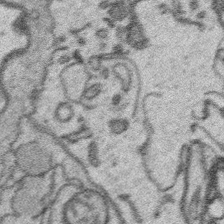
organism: Platynereis dumerilii